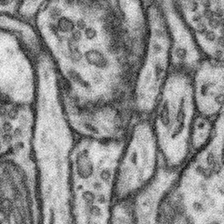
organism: Mouse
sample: Somatosensory cortex neuropil